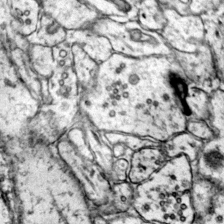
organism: Mouse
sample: Primary visual cortex